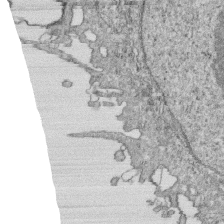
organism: Human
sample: HeLa cell HIV synapse